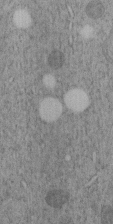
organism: C. elegans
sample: C. elegans embryo early stage